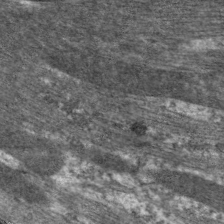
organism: C. elegans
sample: Pharynx